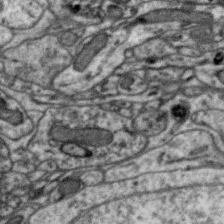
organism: Zebra finch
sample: Brain